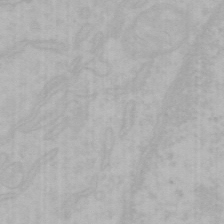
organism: Mouse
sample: Choroid plexus